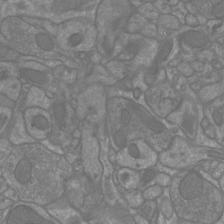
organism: Mouse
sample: Cortical neurons